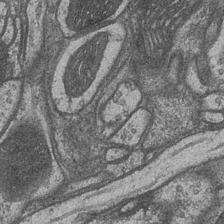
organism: Drosophila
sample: Optic medulla